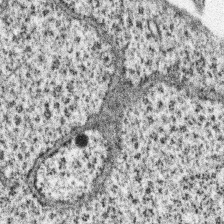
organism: Human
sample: HeLa cells